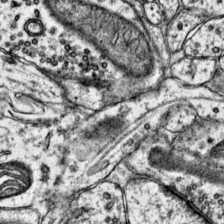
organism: Mouse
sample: Primary visual cortex